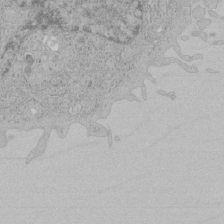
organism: Human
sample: Mitochondria in HCT116 cells